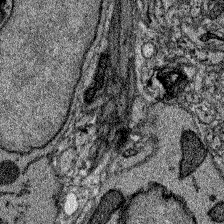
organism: Zebrafish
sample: Larval olfactory bulb